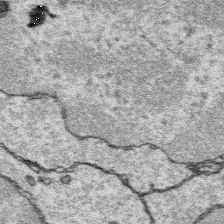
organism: Platynereis dumerilii